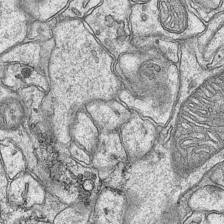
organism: Mouse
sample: CA1 Hippocampus